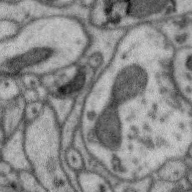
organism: Zebra finch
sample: Brain